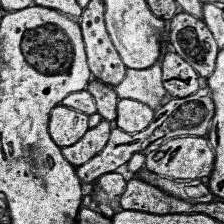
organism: Human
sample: Temporal Lobe